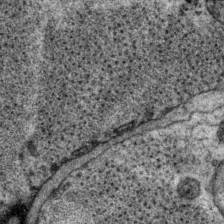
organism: P. pacificus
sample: Pharynx